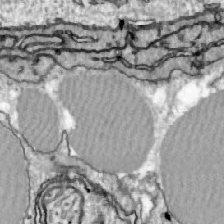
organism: Zebrafish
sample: Actinotrichia fibers